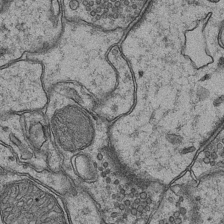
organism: Mouse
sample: CA1 Hippocampus